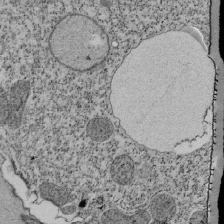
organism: Tetrahymena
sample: Cilia in tetrahymena